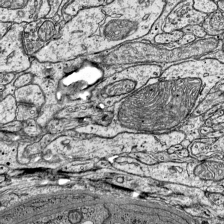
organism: Mouse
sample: Visual Cortex